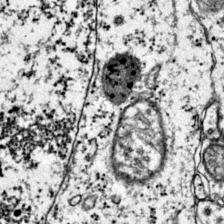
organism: Mouse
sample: Primary visual cortex